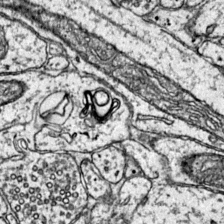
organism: Mouse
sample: Primary visual cortex